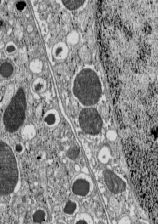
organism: C57BL Mouse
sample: Pancreatic islet